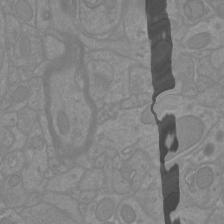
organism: Mouse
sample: Cortical neurons